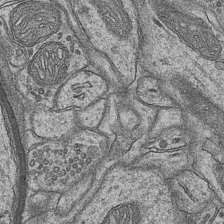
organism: Mouse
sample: CA1 Hippocampus